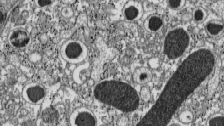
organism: C57BL Mouse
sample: Pancreatic islet